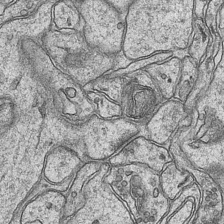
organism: Mouse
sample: CA1 Hippocampus